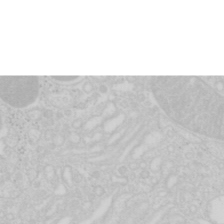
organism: Mouse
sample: Pancreas